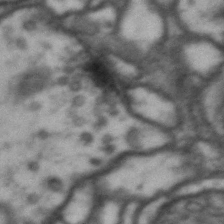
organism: Drosophila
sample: Brain